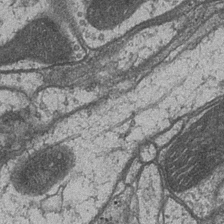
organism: Drosophila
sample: Optic medulla